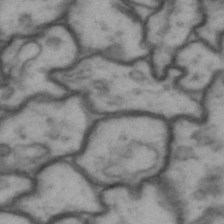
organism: Drosophila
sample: Brain